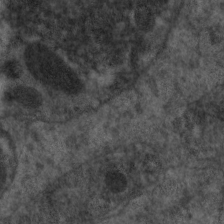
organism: C. elegans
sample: Pharynx